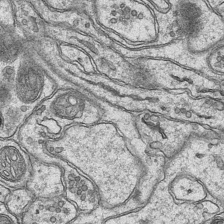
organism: Mouse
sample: CA1 Hippocampus